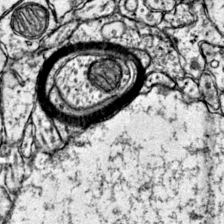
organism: Mouse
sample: Primary visual cortex